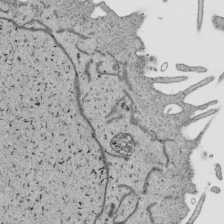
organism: Human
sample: Mitochondria in HCT116 cells